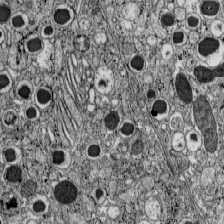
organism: C57BL Mouse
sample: Pancreatic islet